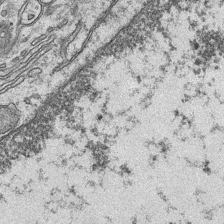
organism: Mouse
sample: CA1 Hippocampus